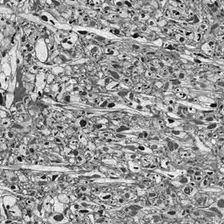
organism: Drosophila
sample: Optic lobe